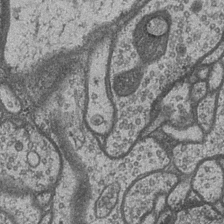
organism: Drosophila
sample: Optic medulla